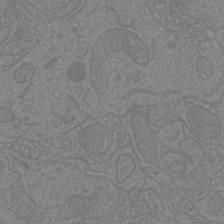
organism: Mouse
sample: Cortical neurons